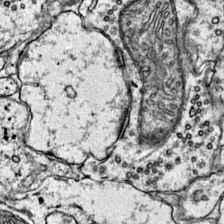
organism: Mouse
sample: Primary visual cortex